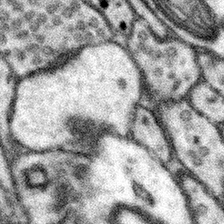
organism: Mouse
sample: Somatosensory cortex neuropil